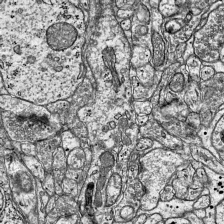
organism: Mouse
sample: Visual Cortex